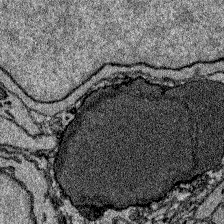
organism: Zebrafish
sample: Larval olfactory bulb